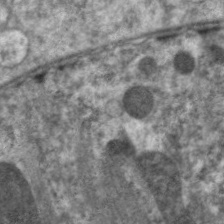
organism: C. elegans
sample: Pharynx